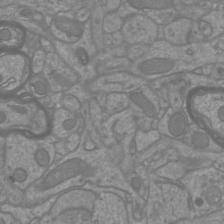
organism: Mouse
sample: Cortical neurons